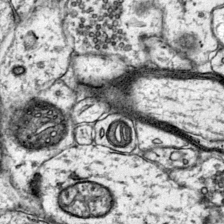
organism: Mouse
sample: Primary visual cortex